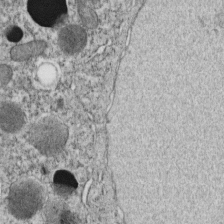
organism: C. elegans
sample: C. elegans embryo early stage